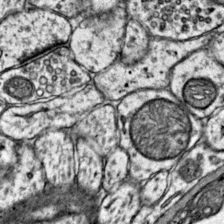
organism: Mouse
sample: Primary visual cortex